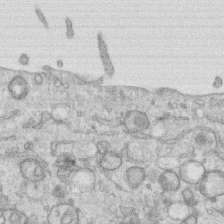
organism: Human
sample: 1205lu cells